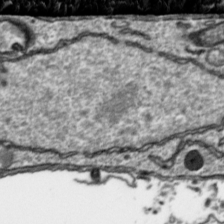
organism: Toxoplasma gondii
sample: Parasites in a vacuole inside a host cell